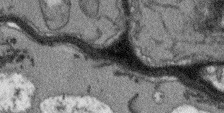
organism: Arabidopsis thaliana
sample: Root tip